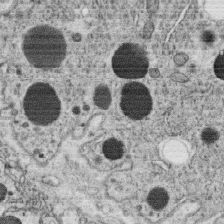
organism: C. elegans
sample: C. elegans oocyte; sperm cells